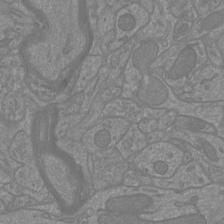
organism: Mouse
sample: Cortical neurons